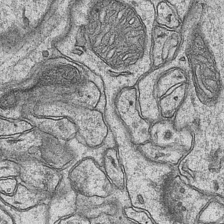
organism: Mouse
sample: CA1 Hippocampus